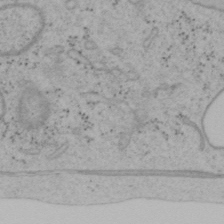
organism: Human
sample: HeLa cells